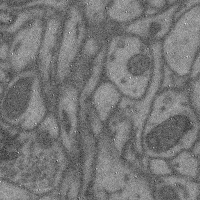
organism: Mouse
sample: Cerebral cortex